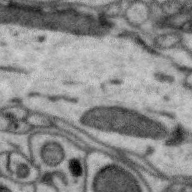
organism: Zebra finch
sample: Brain